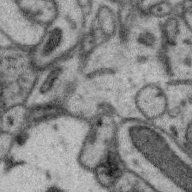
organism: Zebra finch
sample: Brain